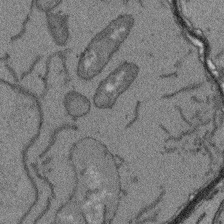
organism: Arabidopsis thaliana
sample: Root tip